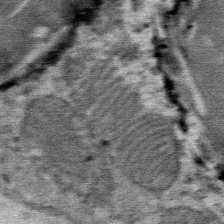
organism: Mouse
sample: Mouse Salivary gland